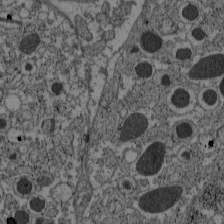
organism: C57BL Mouse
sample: Pancreatic islet